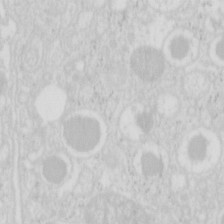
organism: Mouse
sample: Pancreas